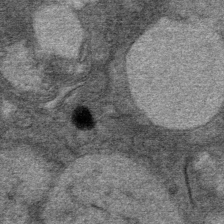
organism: Mouse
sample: Mouse Salivary gland